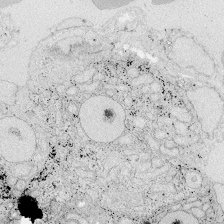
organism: Zebrafish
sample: Whole-Brain